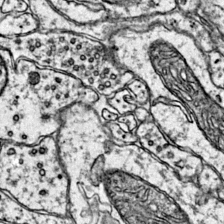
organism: Mouse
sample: Primary visual cortex